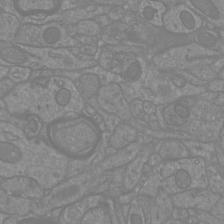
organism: Mouse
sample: Cortical neurons